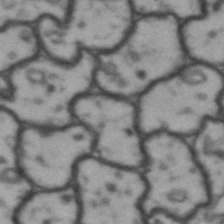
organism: Drosophila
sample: Brain